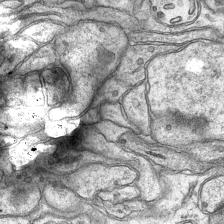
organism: Mouse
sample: CA1 Hippocampus